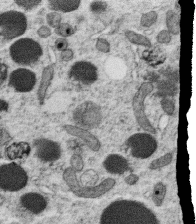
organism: C. elegans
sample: C. elegans oocyte; sperm cells